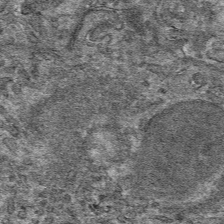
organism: Mouse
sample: Mouse hepatocytes